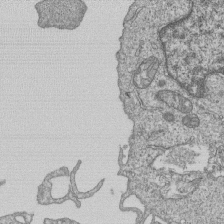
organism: Human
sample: MDA-MB-231 cells